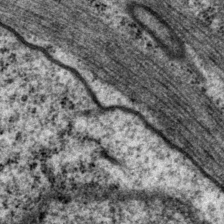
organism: P. pacificus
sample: Pharynx